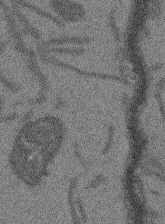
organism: Arabidopsis thaliana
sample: Root tip